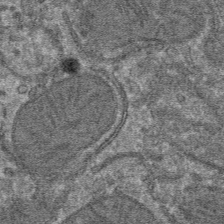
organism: Mouse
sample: Mouse hepatocytes